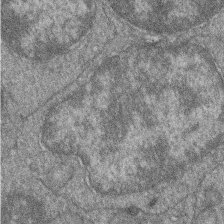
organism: Zebrafish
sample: Cilia; retinal pigment epithelium